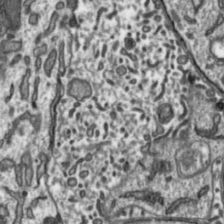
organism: Toxoplasma gondii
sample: Parasites in a vacuole inside a host cell